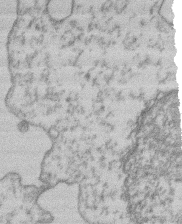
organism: Mouse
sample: T cell stromal cell synapse